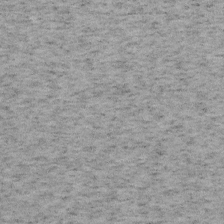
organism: Mouse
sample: OT-I killer T cells with ID8 ovarian cancer cells